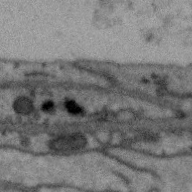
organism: Zebra finch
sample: Brain